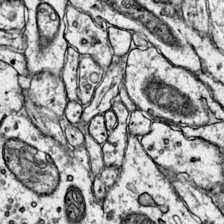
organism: Mouse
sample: Primary visual cortex